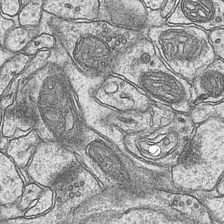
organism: Mouse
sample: CA1 Hippocampus